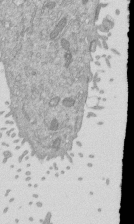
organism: Mouse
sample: ED-1 cell nuclei; centrioles